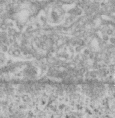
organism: Human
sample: Centriole in RPE cells